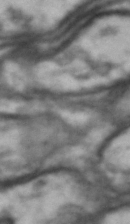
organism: Drosophila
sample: Brain